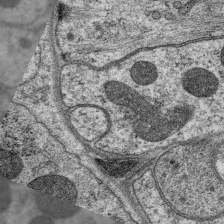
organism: C. elegans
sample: Pharynx